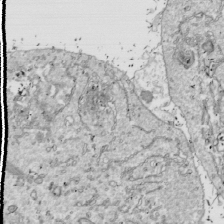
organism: Drosophila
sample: Cell division; meiosis; drosophila spermatocytes